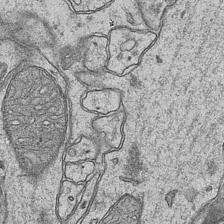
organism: Mouse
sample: CA1 Hippocampus